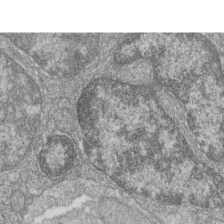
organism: Zebrafish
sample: Cilia; retinal pigment epithelium